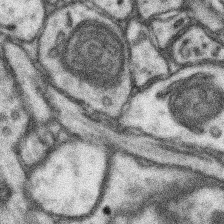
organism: Mouse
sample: Somatosensory cortex neuropil